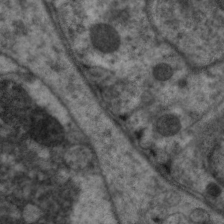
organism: C. elegans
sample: Pharynx